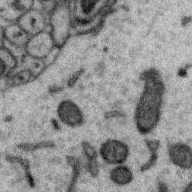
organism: Zebra finch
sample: Brain